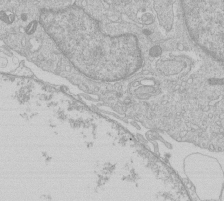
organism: Human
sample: Macrophage cells